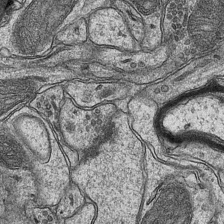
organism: Mouse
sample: CA1 Hippocampus